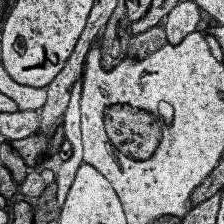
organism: Human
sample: Temporal Lobe